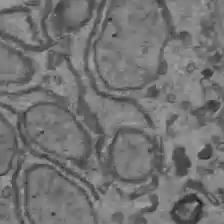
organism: C57BL Mouse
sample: Liver